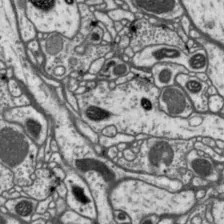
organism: Drosophila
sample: Protocerebral bridge